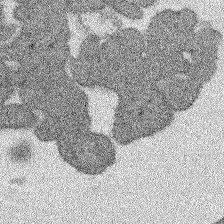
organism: Human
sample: HeLa cells